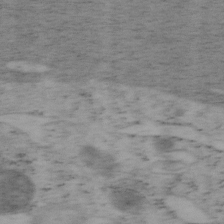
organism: Mouse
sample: OT-I killer T cells with ID8 ovarian cancer cells